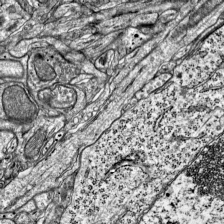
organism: Mouse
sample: Visual Cortex